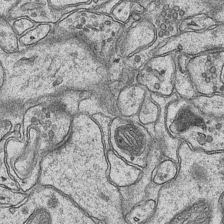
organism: Mouse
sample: CA1 Hippocampus